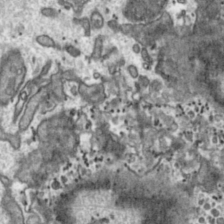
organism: Toxoplasma gondii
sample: Parasites in a vacuole inside a host cell